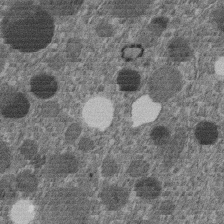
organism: C. elegans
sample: C. elegans embryo early stage